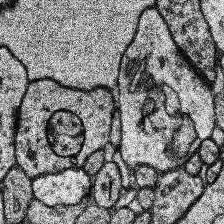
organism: Human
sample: Temporal Lobe